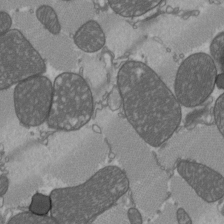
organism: C57BL Mouse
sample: Heart